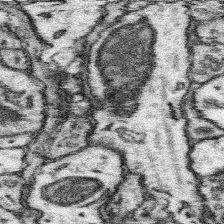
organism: Mouse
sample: Somatosensory cortex neuropil